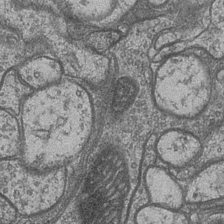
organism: Drosophila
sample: Optic medulla